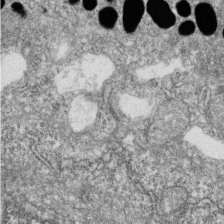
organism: Zebrafish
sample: Cilia; retinal pigment epithelium